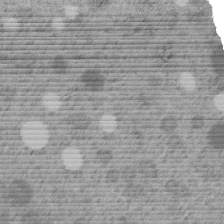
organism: C. elegans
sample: C. elegans embryo early stage